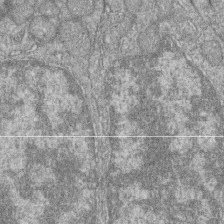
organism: Zebrafish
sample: Cilia; retinal pigment epithelium